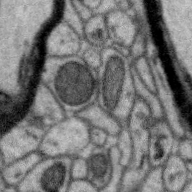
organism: Zebra finch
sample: Brain